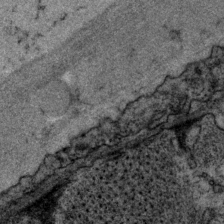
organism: P. pacificus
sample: Pharynx